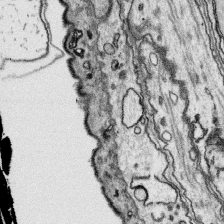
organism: Platynereis dumerilii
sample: Parapodia